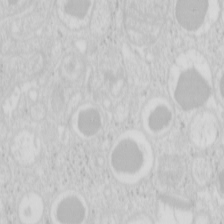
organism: Mouse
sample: Pancreas